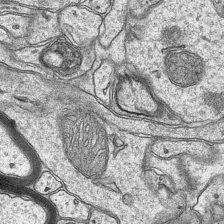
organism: Mouse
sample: CA1 Hippocampus